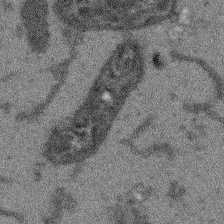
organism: Arabidopsis thaliana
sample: Root tip